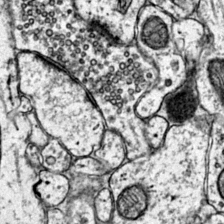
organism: Mouse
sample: Primary visual cortex